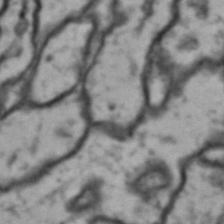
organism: Drosophila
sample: Brain